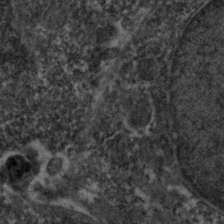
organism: Zebrafish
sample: Zebrafish embryo